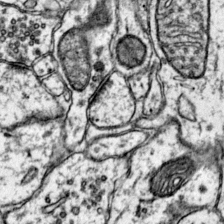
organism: Mouse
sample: Primary visual cortex